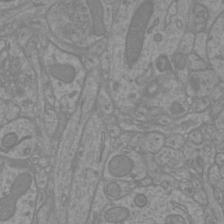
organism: Mouse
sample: Cortical neurons